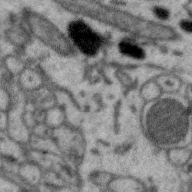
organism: Zebra finch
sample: Brain